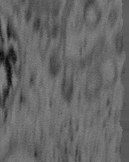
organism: Human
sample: HeLa cells